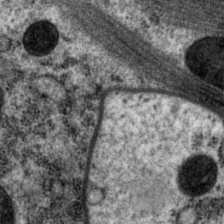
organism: P. pacificus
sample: Pharynx